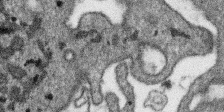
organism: Human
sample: Lung epithelial cells infected with SARS-CoV-2